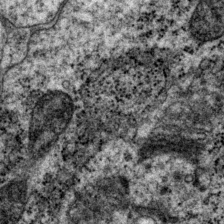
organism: P. pacificus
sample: Pharynx